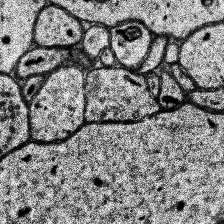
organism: Human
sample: Temporal Lobe